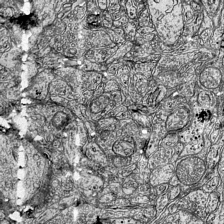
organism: Mouse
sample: Visual Cortex